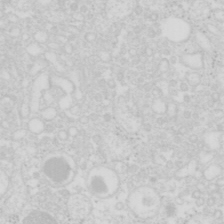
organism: Mouse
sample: Pancreas